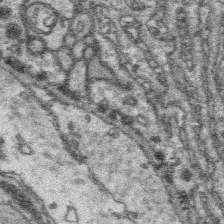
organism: Platynereis dumerilii